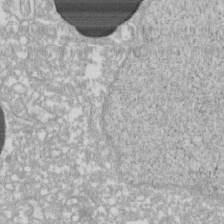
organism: Xenopus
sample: Cilia; centrioles in frog embryo cells